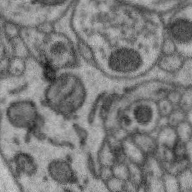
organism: Zebra finch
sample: Brain